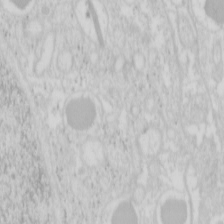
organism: Mouse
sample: Pancreas